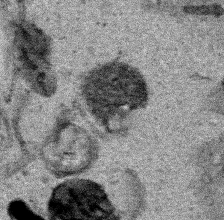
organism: Human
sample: Mitochondria in HCT116 cells